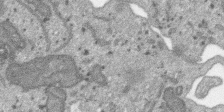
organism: Human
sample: Lung epithelial cells infected with SARS-CoV-2